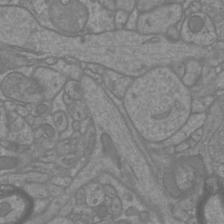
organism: Mouse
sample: Cortical neurons